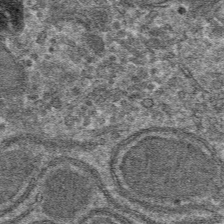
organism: Mouse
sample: Mouse hepatocytes